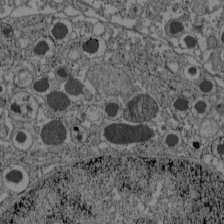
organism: C57BL Mouse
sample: Pancreatic islet